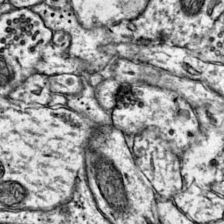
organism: Mouse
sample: Primary visual cortex